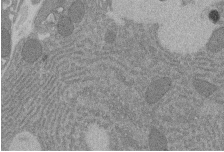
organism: Rat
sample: Salivary granule